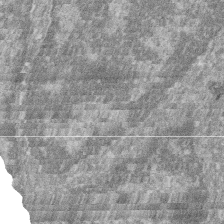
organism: Zebrafish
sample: Cilia; retinal pigment epithelium